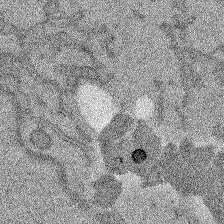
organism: Human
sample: HeLa cells